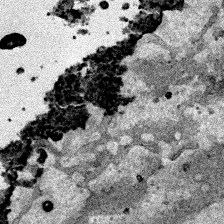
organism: Human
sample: Mitochondria in HCT116 cells